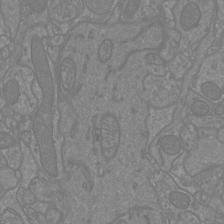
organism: Mouse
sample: Cortical neurons